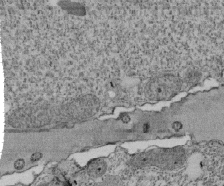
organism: Tetrahymena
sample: Cilia in tetrahymena